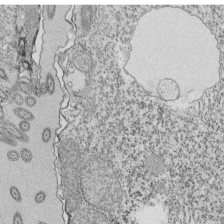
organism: Tetrahymena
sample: Cilia in tetrahymena